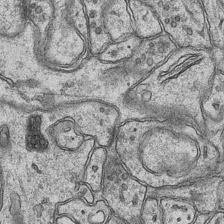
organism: Mouse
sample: CA1 Hippocampus